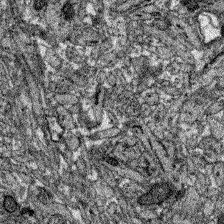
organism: Zebrafish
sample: Larval olfactory bulb